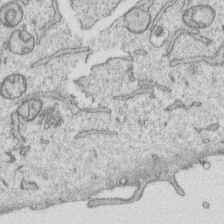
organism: Human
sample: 1205lu cells